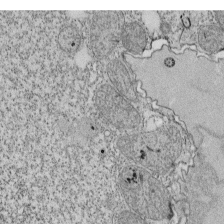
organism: Tetrahymena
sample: Cilia in tetrahymena